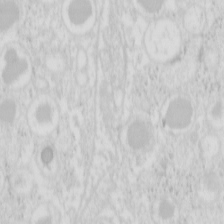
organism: Mouse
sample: Pancreas